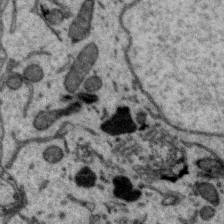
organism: Zebra finch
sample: Brain